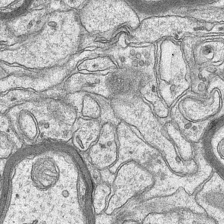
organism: Mouse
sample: CA1 Hippocampus